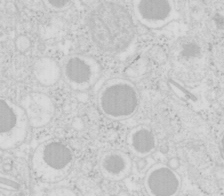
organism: Mouse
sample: Pancreas